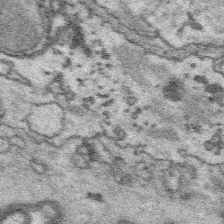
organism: Platynereis dumerilii